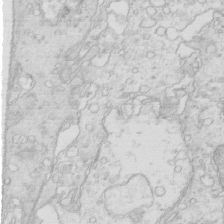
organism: Mouse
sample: Multiciliated cells